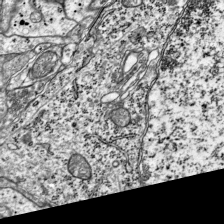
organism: Mouse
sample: Visual Cortex